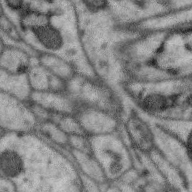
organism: Zebra finch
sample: Brain